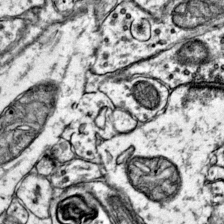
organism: Mouse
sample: Primary visual cortex